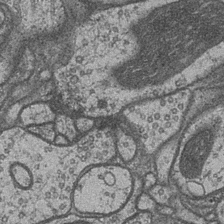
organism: Drosophila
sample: Optic medulla